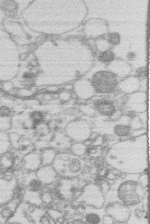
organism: Human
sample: Macrophage cells